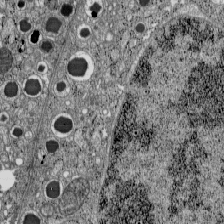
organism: C57BL Mouse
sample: Pancreatic islet